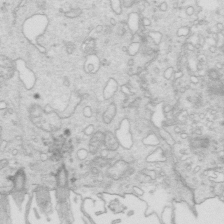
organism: Mouse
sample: Multiciliated cells